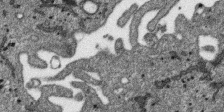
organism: Human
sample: Lung epithelial cells infected with SARS-CoV-2